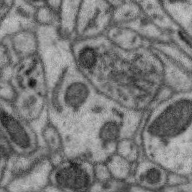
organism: Zebra finch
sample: Brain